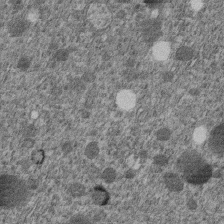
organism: C. elegans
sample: C. elegans embryo early stage